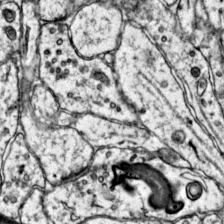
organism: Mouse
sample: Primary visual cortex